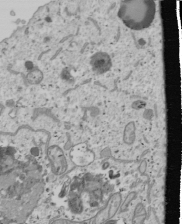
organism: Human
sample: Mitochondria in U2OS cells